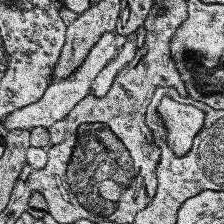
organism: Human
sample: Temporal Lobe